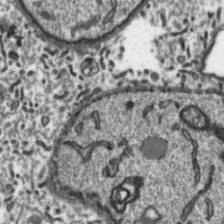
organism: Toxoplasma gondii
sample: Parasites in a vacuole inside a host cell